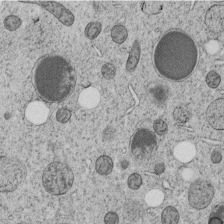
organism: C. elegans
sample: C. elegans embryo early stage